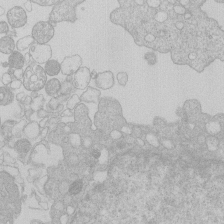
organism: Human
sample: Macrophage cells